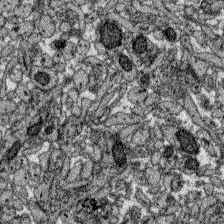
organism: Zebrafish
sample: Larval olfactory bulb